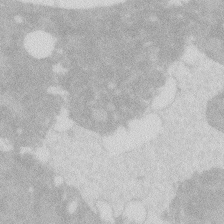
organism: Zebrafish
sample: Macrophage